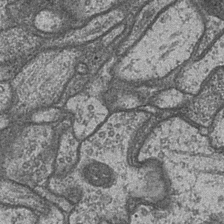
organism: Drosophila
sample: Optic medulla